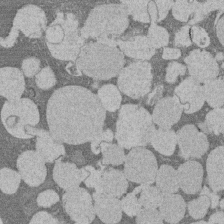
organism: Rat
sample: Salivary granule